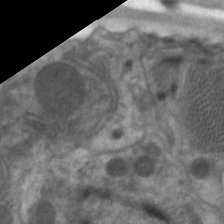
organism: C. elegans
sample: Pharynx